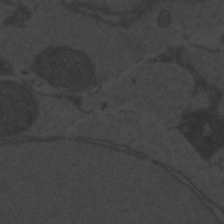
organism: Zebrafish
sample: Macrophage infected with Toxoplasma gondii